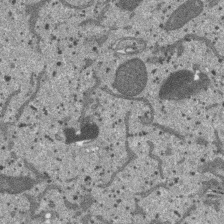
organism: Human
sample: Lung epithelial cells infected with SARS-CoV-2